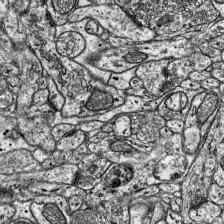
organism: Mouse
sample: Visual Cortex